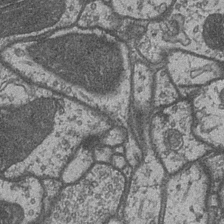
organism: Drosophila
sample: Optic medulla